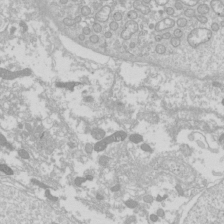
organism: Drosophila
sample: Cell division; meiosis; drosophila spermatocytes